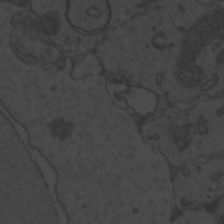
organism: Zebrafish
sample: Macrophage infected with Toxoplasma gondii